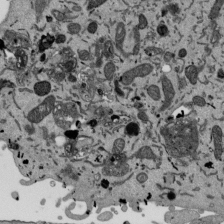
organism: Mouse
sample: ED-1 cell nuclei; centrioles